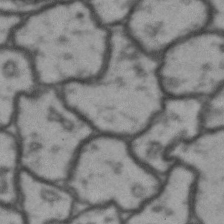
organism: Drosophila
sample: Brain